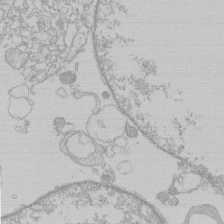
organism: Human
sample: Macrophage cells